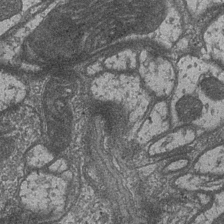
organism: Drosophila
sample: Optic medulla